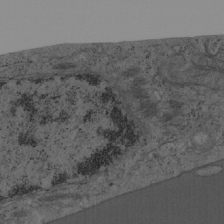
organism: Human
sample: HeLa cells